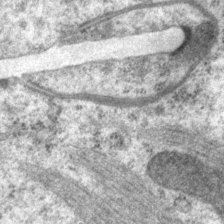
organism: P. pacificus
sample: Pharynx